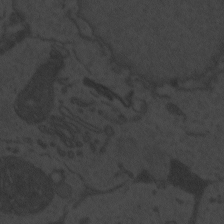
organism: Zebrafish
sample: Macrophage infected with Toxoplasma gondii